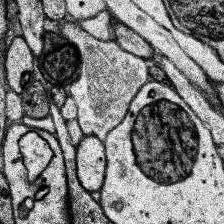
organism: Human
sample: Temporal Lobe